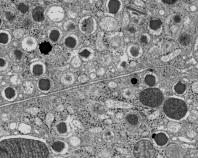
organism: C57BL Mouse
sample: Pancreatic islet